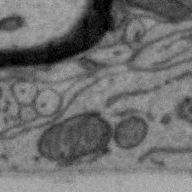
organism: Zebra finch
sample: Brain